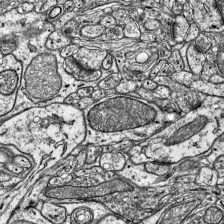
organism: Mouse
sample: Visual Cortex